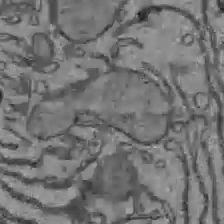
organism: C57BL Mouse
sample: Liver